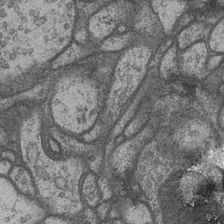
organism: Drosophila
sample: Optic medulla